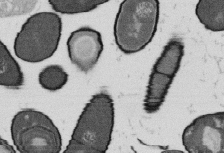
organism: B. subtilis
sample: Bacterial spore